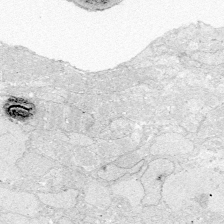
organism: Zebrafish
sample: Whole-Brain